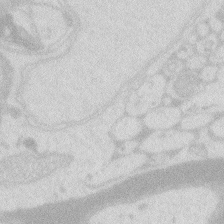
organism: Zebrafish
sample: Macrophage